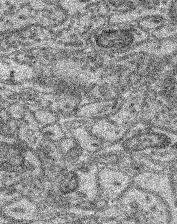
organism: Mouse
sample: Retina